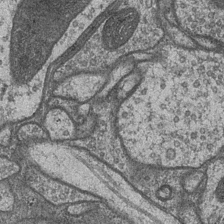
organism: Drosophila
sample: Optic medulla